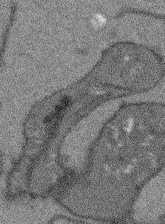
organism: Arabidopsis thaliana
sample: Root tip